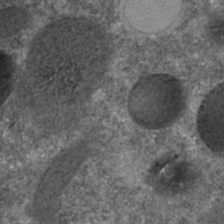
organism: C. elegans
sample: C. elegans embryo